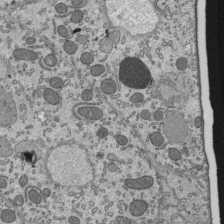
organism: Mouse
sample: Mouse epididymis efferent ductule cilia